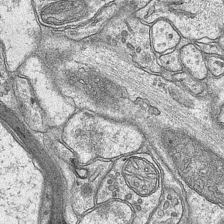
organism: Mouse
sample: CA1 Hippocampus